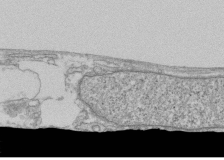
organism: Human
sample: Fibroblast cells